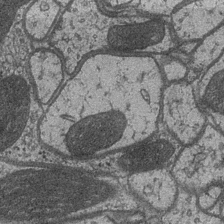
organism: Drosophila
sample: Optic medulla